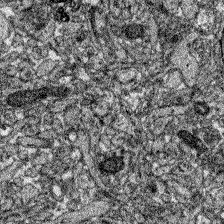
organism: Zebrafish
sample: Larval olfactory bulb